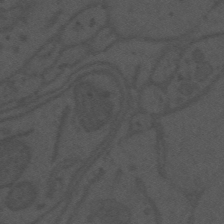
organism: Mouse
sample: Suprachiasmatic nucleus